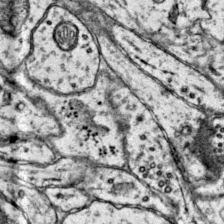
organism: Mouse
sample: Primary visual cortex